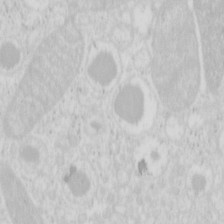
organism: Mouse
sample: Pancreas